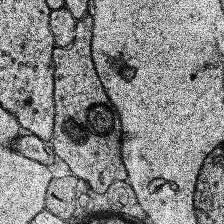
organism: Human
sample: Temporal Lobe